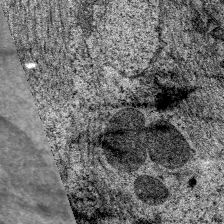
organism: C. elegans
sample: Pharynx